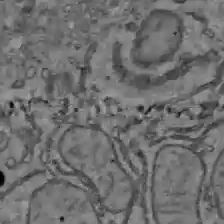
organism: C57BL Mouse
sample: Liver